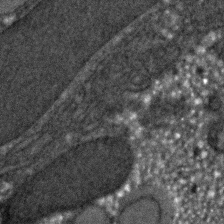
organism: C. elegans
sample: C. elegans embryo